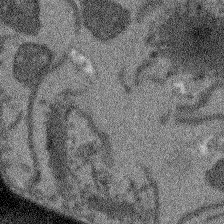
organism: Arabidopsis thaliana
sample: Root tip